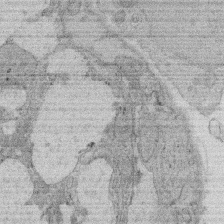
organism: Rat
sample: Salivary granule